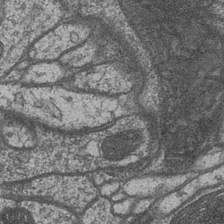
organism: Drosophila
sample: Optic medulla